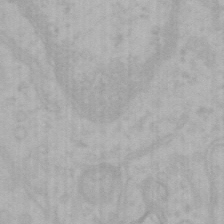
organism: Mouse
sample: Choroid plexus